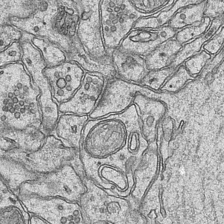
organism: Mouse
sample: CA1 Hippocampus